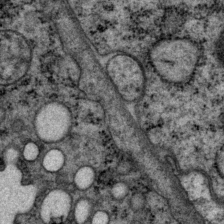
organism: P. pacificus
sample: Pharynx